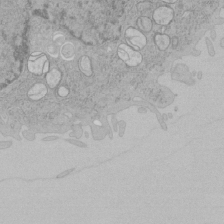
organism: Human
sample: Mitochondria in HCT116 cells